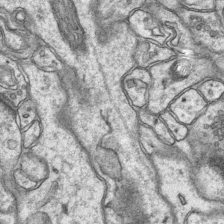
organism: Mouse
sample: CA1 Hippocampus